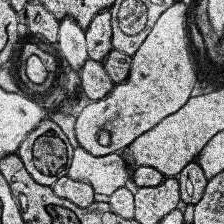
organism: Human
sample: Temporal Lobe